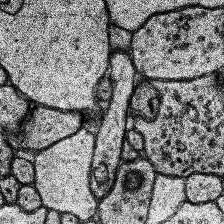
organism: Human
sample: Temporal Lobe